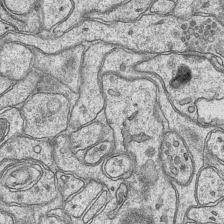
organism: Mouse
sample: CA1 Hippocampus